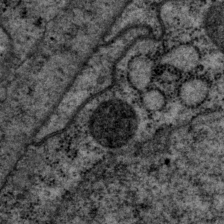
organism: P. pacificus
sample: Pharynx